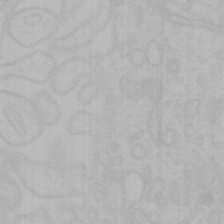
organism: Mouse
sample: Choroid plexus